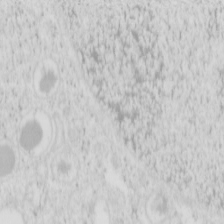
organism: Mouse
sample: Pancreas